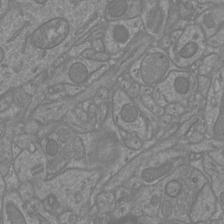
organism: Mouse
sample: Cortical neurons